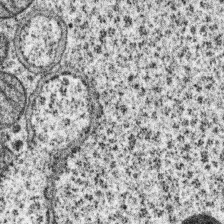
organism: Human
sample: HeLa cells